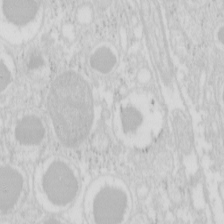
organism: Mouse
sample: Pancreas